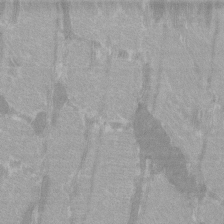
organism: C57BL Mouse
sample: Tibialis anterior muscle cell